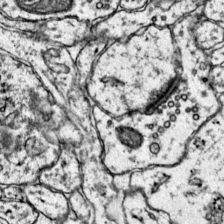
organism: Mouse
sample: Primary visual cortex